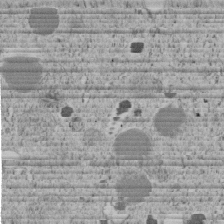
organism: C. elegans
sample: C. elegans embryo early stage